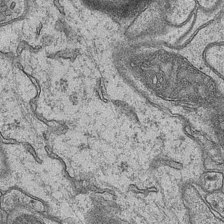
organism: Mouse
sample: CA1 Hippocampus